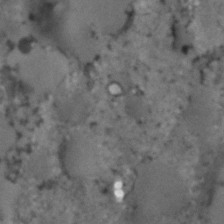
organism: C. elegans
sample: C. elegans embryo